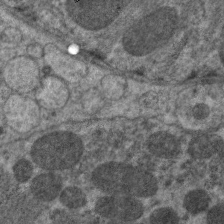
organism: C. elegans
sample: Pharynx